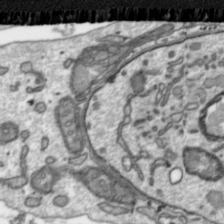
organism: Toxoplasma gondii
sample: Parasites in a vacuole inside a host cell